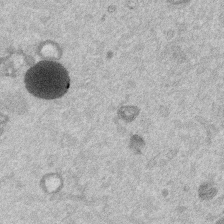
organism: Mouse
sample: Dividing mouse embryo 1 cell stage